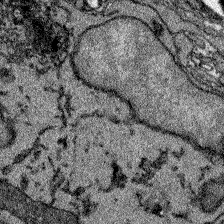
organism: Zebrafish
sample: Larval olfactory bulb